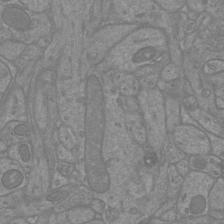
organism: Mouse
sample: Cortical neurons